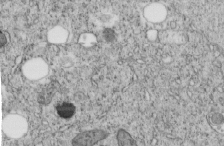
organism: C. elegans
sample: C. elegans embryo early stage